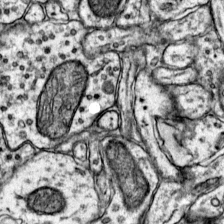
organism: Mouse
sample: Primary visual cortex